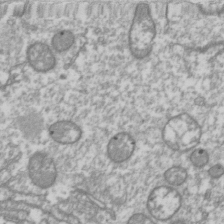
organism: Drosophila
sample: Cell division; meiosis; drosophila spermatocytes